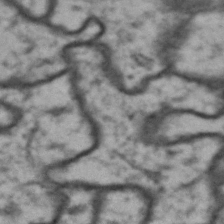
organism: Drosophila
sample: Brain